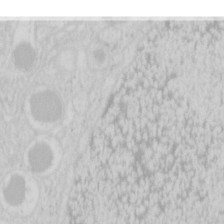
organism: Mouse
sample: Pancreas